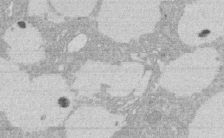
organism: Rat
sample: Salivary granule